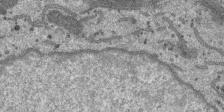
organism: Human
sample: Lung epithelial cells infected with SARS-CoV-2